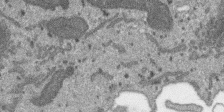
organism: Human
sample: Lung epithelial cells infected with SARS-CoV-2